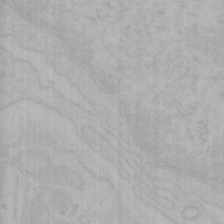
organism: Mouse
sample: Choroid plexus